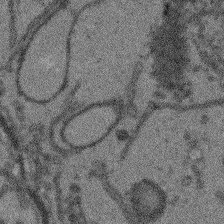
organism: Arabidopsis thaliana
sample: Root tip